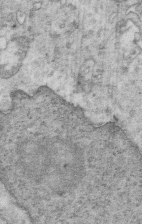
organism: Mouse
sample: Multiciliated cells